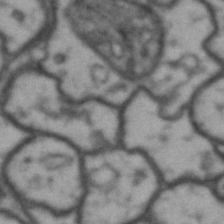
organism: Drosophila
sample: Brain